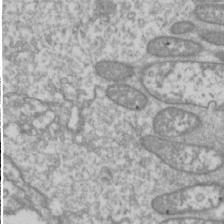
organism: Drosophila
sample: Cell division; meiosis; drosophila spermatocytes